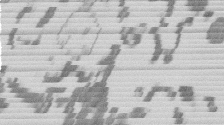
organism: Mouse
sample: Dividing mouse embryo 1 cell stage